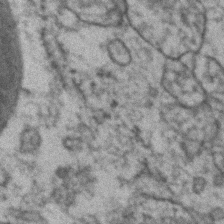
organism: Zebrafish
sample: Zebrafish embryo